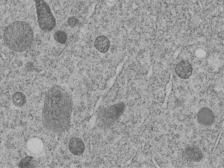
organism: C. elegans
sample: C. elegans embryo early stage